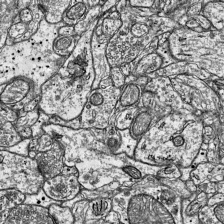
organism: Mouse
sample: Visual Cortex